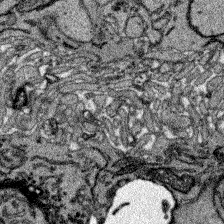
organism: Zebrafish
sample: Larval olfactory bulb